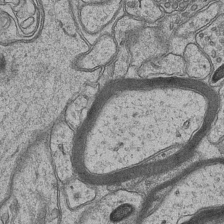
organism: Mouse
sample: CA1 Hippocampus